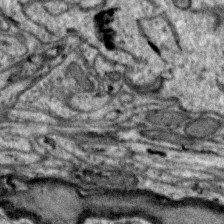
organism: Zebra finch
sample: Brain